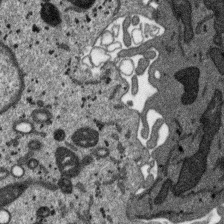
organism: Human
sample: Lung epithelial cells infected with SARS-CoV-2